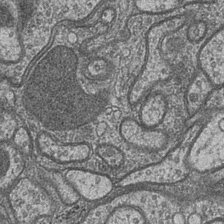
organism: Drosophila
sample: Optic medulla